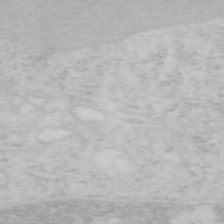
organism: Mouse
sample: OT-I killer T cells with ID8 ovarian cancer cells